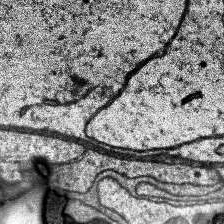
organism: Human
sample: Temporal Lobe